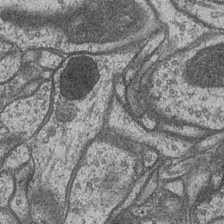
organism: Drosophila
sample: Optic medulla